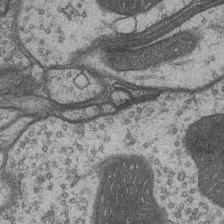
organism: Drosophila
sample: Optic medulla